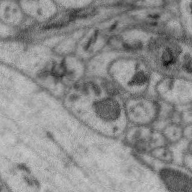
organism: Zebra finch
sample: Brain